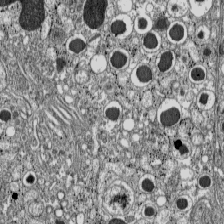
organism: C57BL Mouse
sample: Pancreatic islet